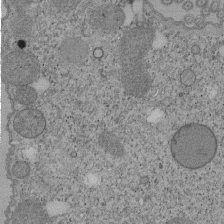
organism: Tetrahymena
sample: Cilia in tetrahymena